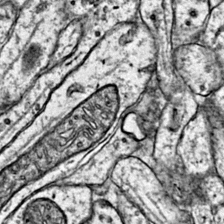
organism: Mouse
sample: Primary visual cortex